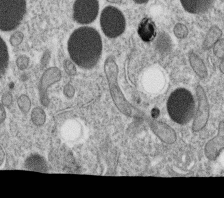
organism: C. elegans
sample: C. elegans oocyte; sperm cells